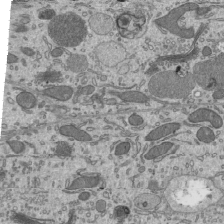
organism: Mouse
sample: Mouse epididymis efferent ductule cilia